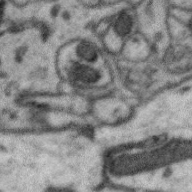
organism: Zebra finch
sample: Brain